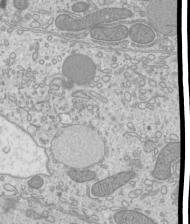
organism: Mouse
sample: Cilia; mouse epididymis